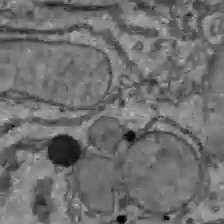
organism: C57BL Mouse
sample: Liver